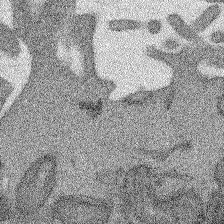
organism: Human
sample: HeLa cells